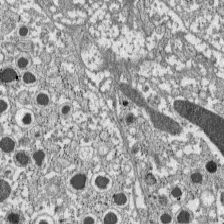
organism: C57BL Mouse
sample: Pancreatic islet